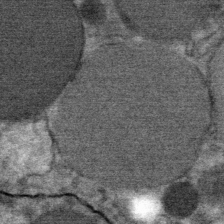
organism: Mouse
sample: Mouse Salivary gland